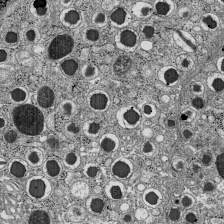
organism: C57BL Mouse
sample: Pancreatic islet